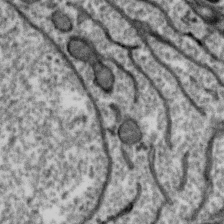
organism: Zebra finch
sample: Brain